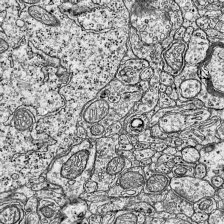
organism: Mouse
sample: Visual Cortex